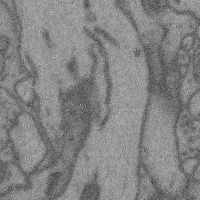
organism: Mouse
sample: Cerebral cortex